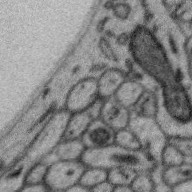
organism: Zebra finch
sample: Brain